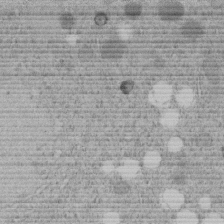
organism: C. elegans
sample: C. elegans embryo early stage